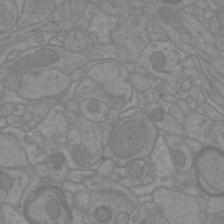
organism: Mouse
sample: Cortical neurons